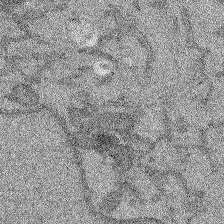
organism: Human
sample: HeLa cells